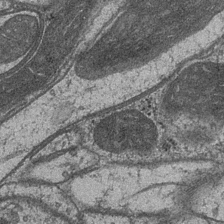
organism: Drosophila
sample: Optic medulla